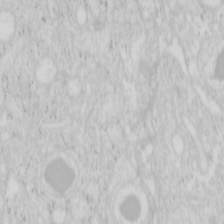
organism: Mouse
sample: Pancreas